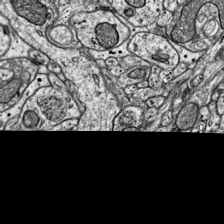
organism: Mouse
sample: Visual Cortex